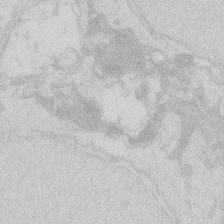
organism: Zebrafish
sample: Macrophage